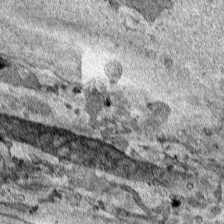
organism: Human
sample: Mitochondria in HCT116 cells